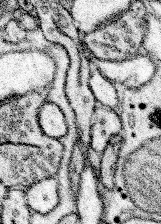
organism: Mouse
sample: Somatosensory cortex neuropil